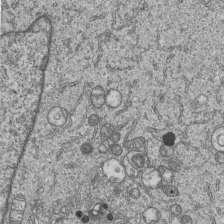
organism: Human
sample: MDA-MB-231 cells